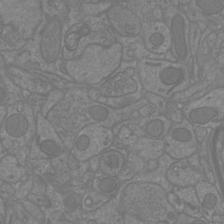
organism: Mouse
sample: Cortical neurons